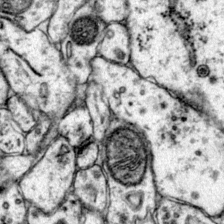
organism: Mouse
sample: Primary visual cortex